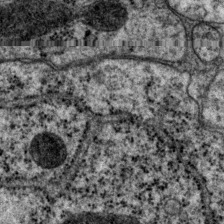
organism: P. pacificus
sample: Pharynx